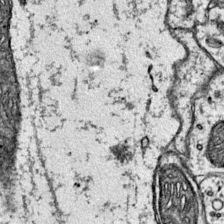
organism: Mouse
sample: Primary visual cortex